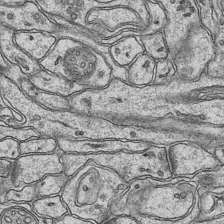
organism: Mouse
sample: CA1 Hippocampus